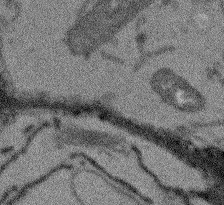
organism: Arabidopsis thaliana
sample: Root tip